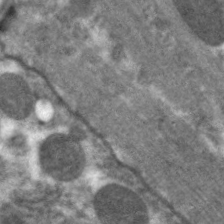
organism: C. elegans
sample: Pharynx